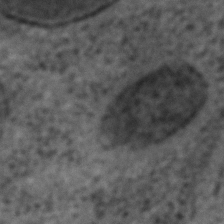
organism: C. elegans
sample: C. elegans embryo